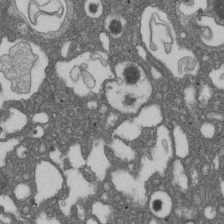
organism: Drosophila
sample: Nephrocyte